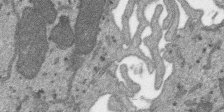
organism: Human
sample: Lung epithelial cells infected with SARS-CoV-2